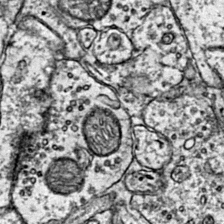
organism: Mouse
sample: Primary visual cortex